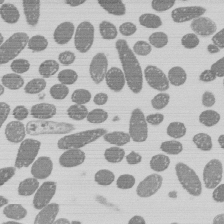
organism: E. coli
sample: Bacterial nucleoid